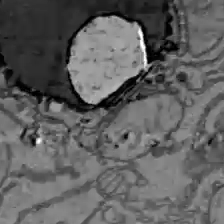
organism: C57BL Mouse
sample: Liver